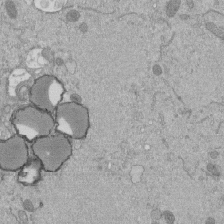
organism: Mouse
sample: ED-1 cell nuclei; centrioles